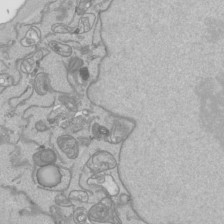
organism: Human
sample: Mitochondria in HCT116 cells